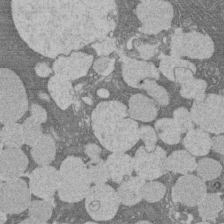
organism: Rat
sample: Salivary granule